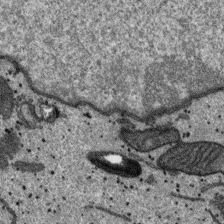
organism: Human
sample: Lung epithelial cells, uninfected (mock) control